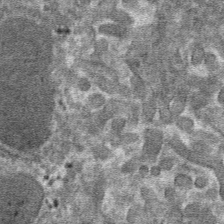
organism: Mouse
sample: Mouse hepatocytes